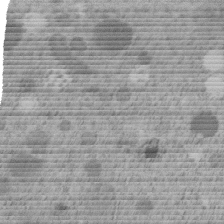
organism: C. elegans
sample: C. elegans embryo early stage